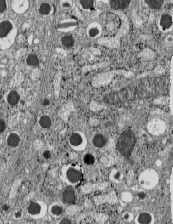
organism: C57BL Mouse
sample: Pancreatic islet